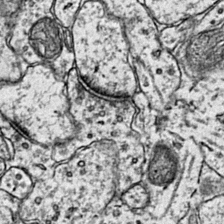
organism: Mouse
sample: Primary visual cortex